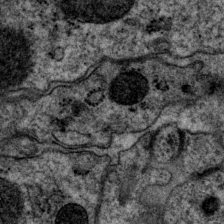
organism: P. pacificus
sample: Pharynx